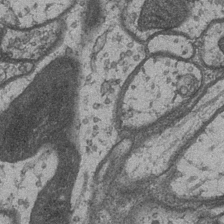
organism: Drosophila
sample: Optic medulla